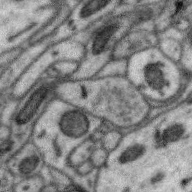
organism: Zebra finch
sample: Brain